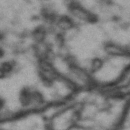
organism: Drosophila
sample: Brain